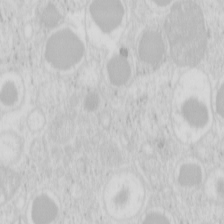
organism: Mouse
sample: Pancreas